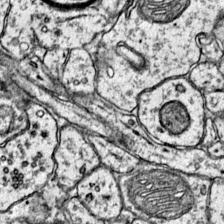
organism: Mouse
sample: Primary visual cortex